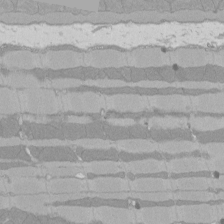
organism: Rat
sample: Left ventricle